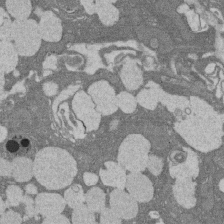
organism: Rat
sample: Salivary granule